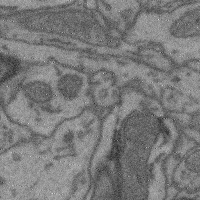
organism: Mouse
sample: Cerebral cortex